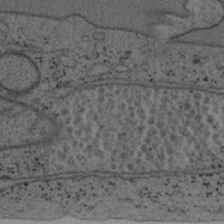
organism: Human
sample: HeLa cells